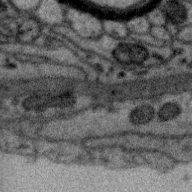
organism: Zebra finch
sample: Brain